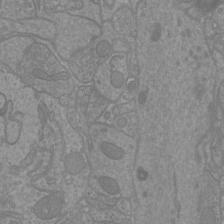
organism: Mouse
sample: Cortical neurons